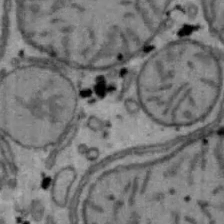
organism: Mouse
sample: Liver